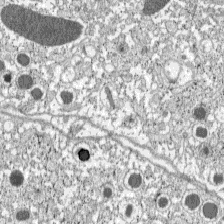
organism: C57BL Mouse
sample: Pancreatic islet